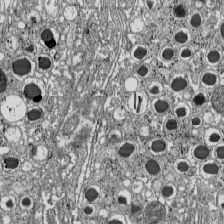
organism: C57BL Mouse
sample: Pancreatic islet